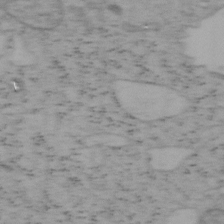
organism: Mouse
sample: OT-I killer T cells with ID8 ovarian cancer cells